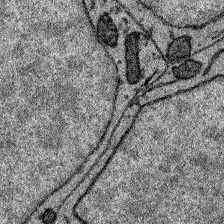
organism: Zebrafish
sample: Larval olfactory bulb